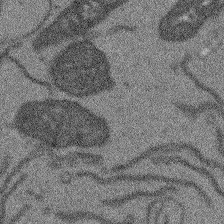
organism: Arabidopsis thaliana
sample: Root tip